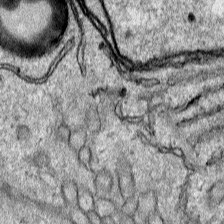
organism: Human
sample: Mitochondria in HCT116 cells